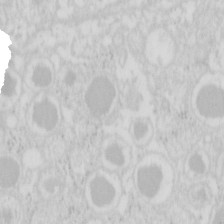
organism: Mouse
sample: Pancreas